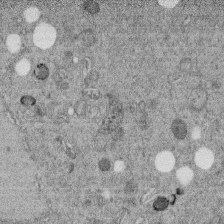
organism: C. elegans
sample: C. elegans embryo early stage